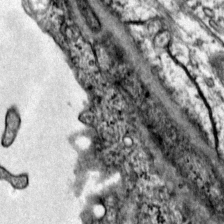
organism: Mouse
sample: Primary visual cortex